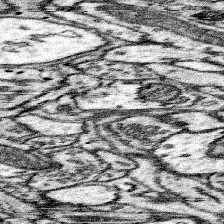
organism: Mouse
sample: Somatosensory cortex neuropil